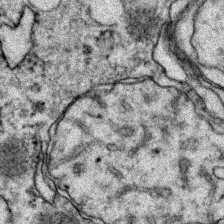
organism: Zebrafish